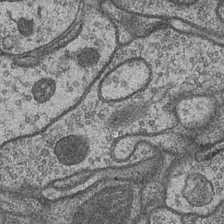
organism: Drosophila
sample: Optic medulla